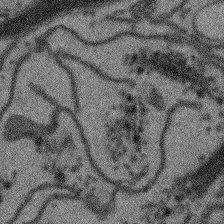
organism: Arabidopsis thaliana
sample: Root tip